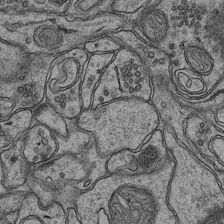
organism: Mouse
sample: CA1 Hippocampus